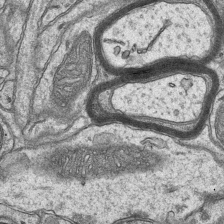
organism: Mouse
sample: CA1 Hippocampus